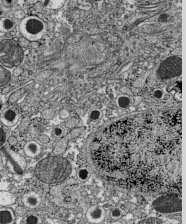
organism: C57BL Mouse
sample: Pancreatic islet